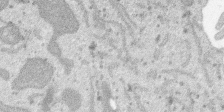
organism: Human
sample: Lung epithelial cells infected with SARS-CoV-2